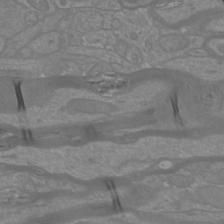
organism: Mouse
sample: Cortical neurons